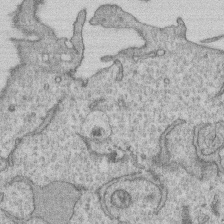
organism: Human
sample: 1205lu cells